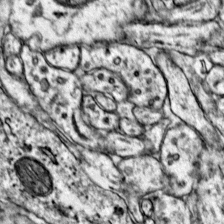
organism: Mouse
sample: Primary visual cortex